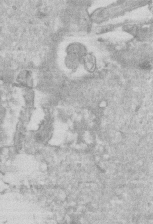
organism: Mouse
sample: Centriole in ependymal cells